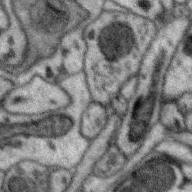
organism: Zebra finch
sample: Brain